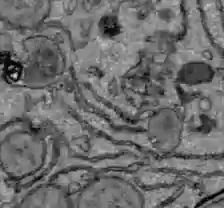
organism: C57BL Mouse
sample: Liver